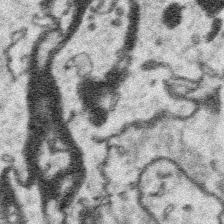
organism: Platynereis dumerilii